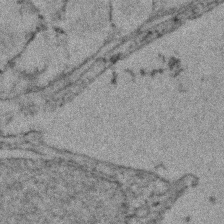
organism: Zebrafish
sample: Zebrafish embryo